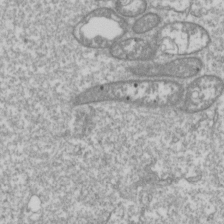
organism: Drosophila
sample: Cell division; meiosis; drosophila spermatocytes